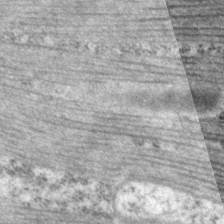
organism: P. pacificus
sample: Pharynx